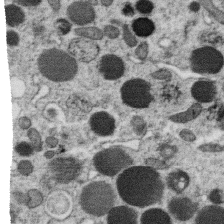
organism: C. elegans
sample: C. elegans oocyte; sperm cells